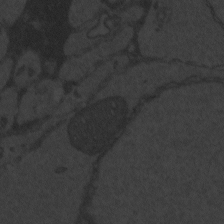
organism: Zebrafish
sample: Macrophage infected with Toxoplasma gondii